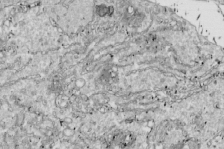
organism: Drosophila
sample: Cell division; meiosis; drosophila spermatocytes